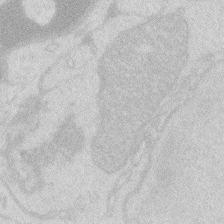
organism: Zebrafish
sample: Macrophage